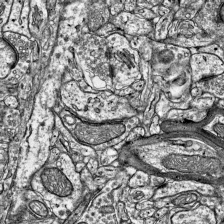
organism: Mouse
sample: Visual Cortex